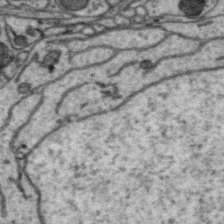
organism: Zebra finch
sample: Brain